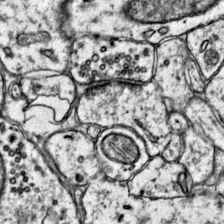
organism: Mouse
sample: Primary visual cortex